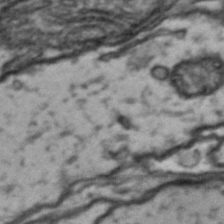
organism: Drosophila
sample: Brain